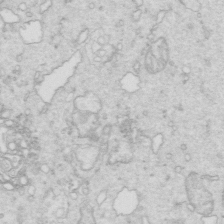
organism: Mouse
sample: Multiciliated cells